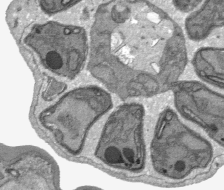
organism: Plasmodium falciparum